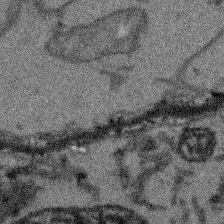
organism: Arabidopsis thaliana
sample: Root tip